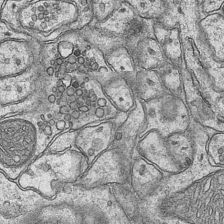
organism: Mouse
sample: CA1 Hippocampus